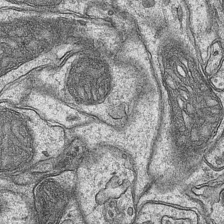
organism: Mouse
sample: CA1 Hippocampus